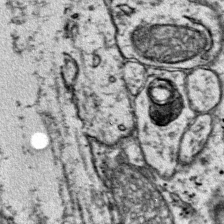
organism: Mouse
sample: Primary visual cortex